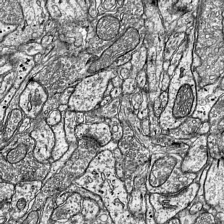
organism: Mouse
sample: Visual Cortex